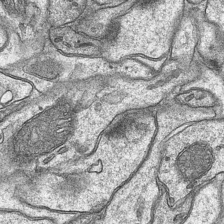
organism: Mouse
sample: CA1 Hippocampus